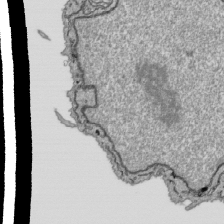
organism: Human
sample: Mitochondria in HCT116 cells